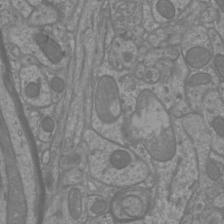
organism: Mouse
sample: Cortical neurons